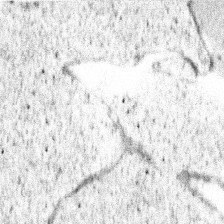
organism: Human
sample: HeLa cells